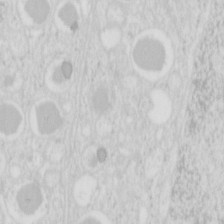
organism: Mouse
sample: Pancreas